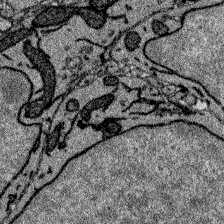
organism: Zebrafish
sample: Larval olfactory bulb